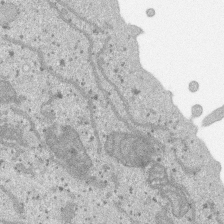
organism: Human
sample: Lung epithelial cells infected with SARS-CoV-2